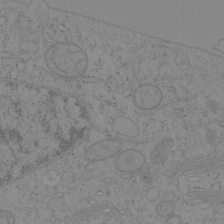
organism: Human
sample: HeLa cells